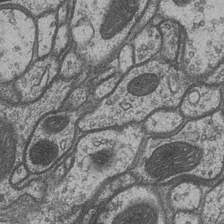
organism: Drosophila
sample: Optic medulla